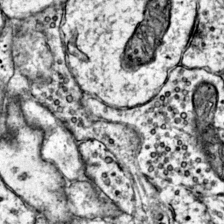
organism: Mouse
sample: Primary visual cortex